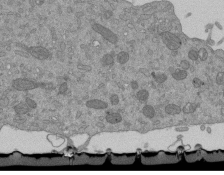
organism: Mouse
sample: ED-1 cell nuclei; centrioles